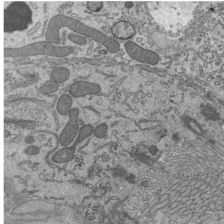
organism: Mouse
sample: Mouse epididymis efferent ductule cilia